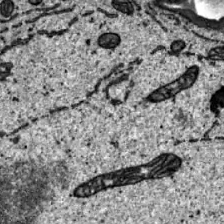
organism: Human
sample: HeLa cells